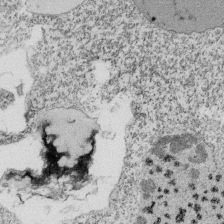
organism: Tetrahymena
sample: Cilia in tetrahymena